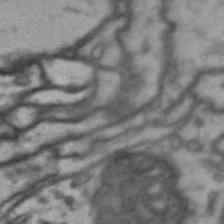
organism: Drosophila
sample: Brain